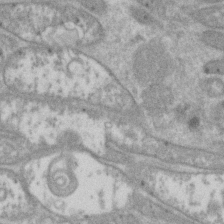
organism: Drosophila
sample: Cell division; meiosis; drosophila spermatocytes